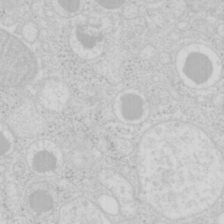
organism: Mouse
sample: Pancreas